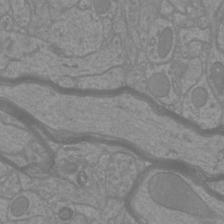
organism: Mouse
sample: Cortical neurons